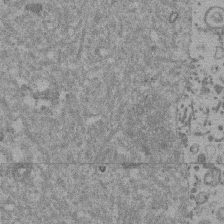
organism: Mouse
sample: Dividing mouse embryo 1 cell stage